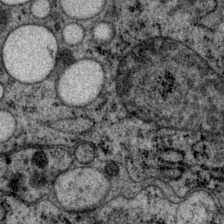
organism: P. pacificus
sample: Pharynx